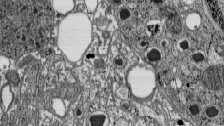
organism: C57BL Mouse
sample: Pancreatic islet